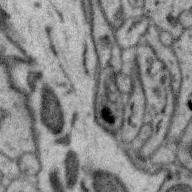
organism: Zebra finch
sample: Brain